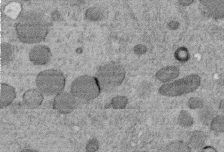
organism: C. elegans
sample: C. elegans embryo early stage